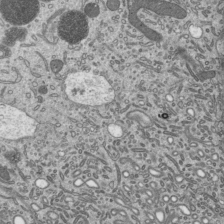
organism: Mouse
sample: Mouse epididymis efferent ductule cilia